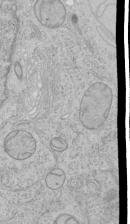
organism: Human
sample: Mitochondria in HCT116 cells